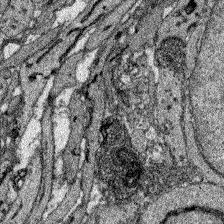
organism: Zebrafish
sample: Larval olfactory bulb